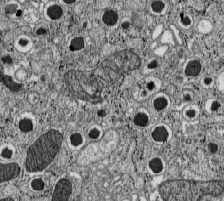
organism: C57BL Mouse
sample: Pancreatic islet